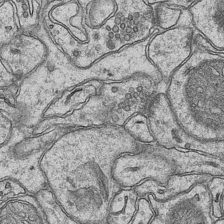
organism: Mouse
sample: CA1 Hippocampus